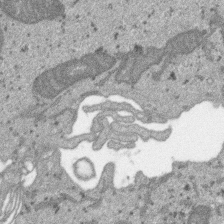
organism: Human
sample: Lung epithelial cells infected with SARS-CoV-2